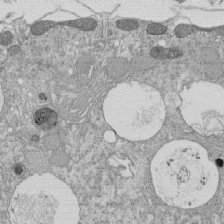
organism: Tetrahymena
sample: Cilia in tetrahymena